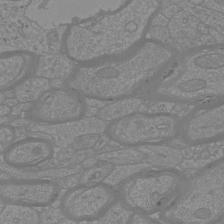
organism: Mouse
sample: Cortical neurons